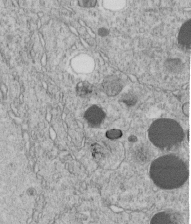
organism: C. elegans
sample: C. elegans embryo early stage